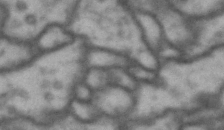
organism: Drosophila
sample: Brain